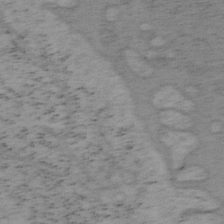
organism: Mouse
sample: OT-I killer T cells with ID8 ovarian cancer cells